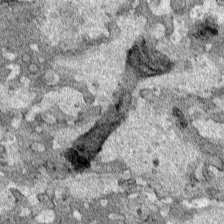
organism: Human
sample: Mitochondria in HCT116 cells